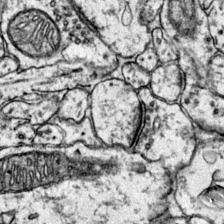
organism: Mouse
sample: Primary visual cortex